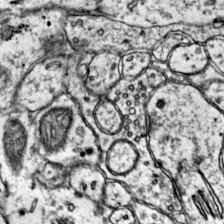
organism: Mouse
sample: Primary visual cortex